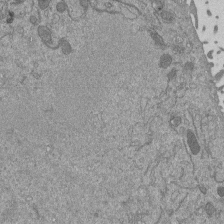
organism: Mouse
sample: ED-1 cell nuclei; centrioles